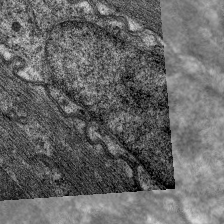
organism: C. elegans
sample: Pharynx